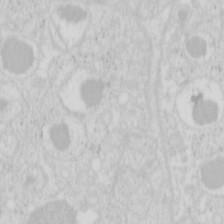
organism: Mouse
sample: Pancreas